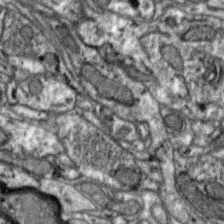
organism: Zebra finch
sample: Brain